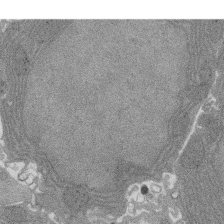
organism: Rat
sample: Salivary granule